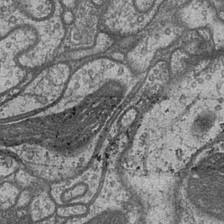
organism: Drosophila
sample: Optic medulla